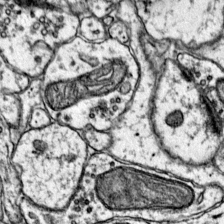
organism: Mouse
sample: Primary visual cortex